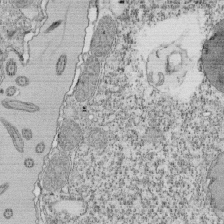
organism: Tetrahymena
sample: Cilia in tetrahymena